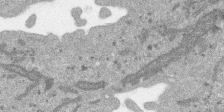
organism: Human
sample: Lung epithelial cells infected with SARS-CoV-2